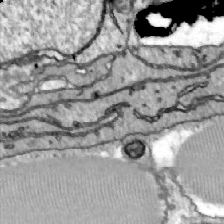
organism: Zebrafish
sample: Actinotrichia fibers